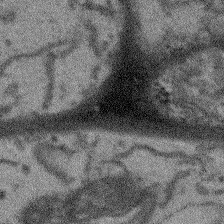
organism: Arabidopsis thaliana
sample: Root tip